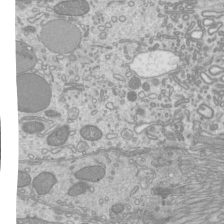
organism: Mouse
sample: Cilia; mouse epididymis